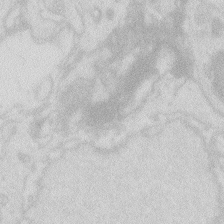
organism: Zebrafish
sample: Macrophage